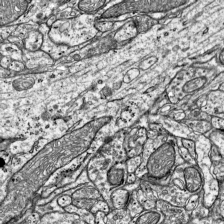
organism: Mouse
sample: Visual Cortex